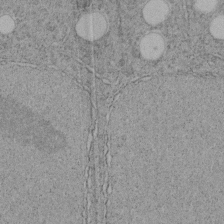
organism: C. elegans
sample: C. elegans embryo early stage